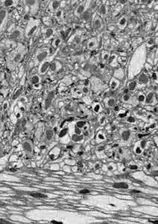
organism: Drosophila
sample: Optic lobe